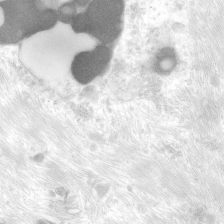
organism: Human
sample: Neocortex